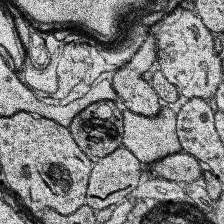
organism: Human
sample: Temporal Lobe